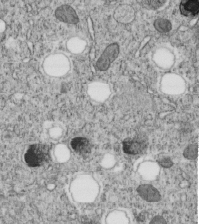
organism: C. elegans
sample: C. elegans embryo early stage